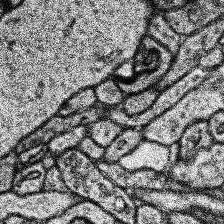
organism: Human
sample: Temporal Lobe